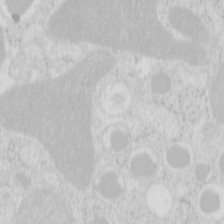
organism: Mouse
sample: Pancreas